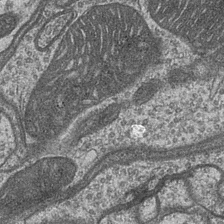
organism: Drosophila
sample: Optic medulla